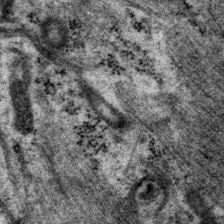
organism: P. pacificus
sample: Pharynx